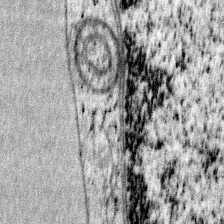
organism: Human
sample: HeLa cells